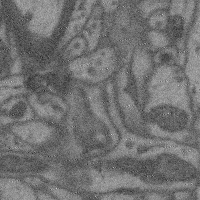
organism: Mouse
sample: Cerebral cortex